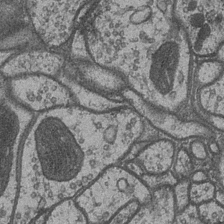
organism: Drosophila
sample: Optic medulla